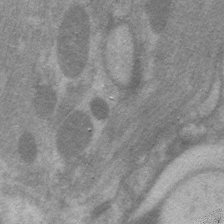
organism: C. elegans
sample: Pharynx